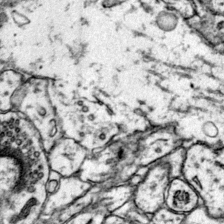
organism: Mouse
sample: Primary visual cortex